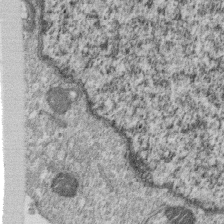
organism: African green monkey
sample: Vero E6 cells infected with SARS-CoV-2